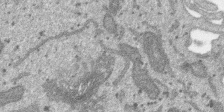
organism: Human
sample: Lung epithelial cells infected with SARS-CoV-2